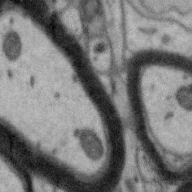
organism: Zebra finch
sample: Brain